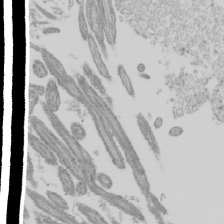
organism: Mouse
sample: Cilia; mouse epididymis